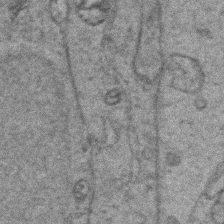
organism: Zebrafish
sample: Zebrafish embryo